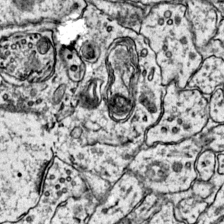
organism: Mouse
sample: Primary visual cortex